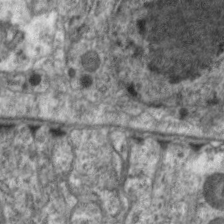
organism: C. elegans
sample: Pharynx